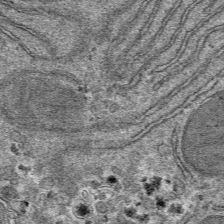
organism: Mouse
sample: Mouse hepatocytes